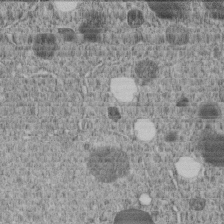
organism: C. elegans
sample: C. elegans embryo early stage